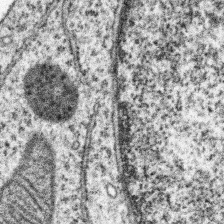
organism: Human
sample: HeLa cells